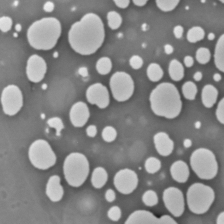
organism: C. elegans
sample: C. elegans embryo